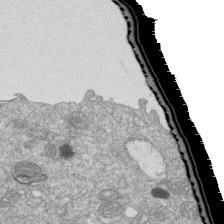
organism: Human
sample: HeLa cell HIV synapse